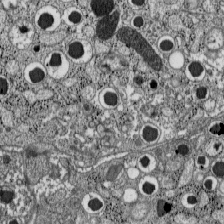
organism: C57BL Mouse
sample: Pancreatic islet